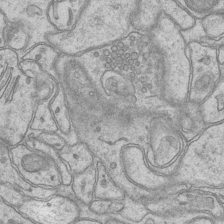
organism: Mouse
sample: CA1 Hippocampus